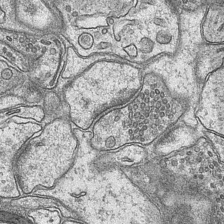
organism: Mouse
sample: CA1 Hippocampus